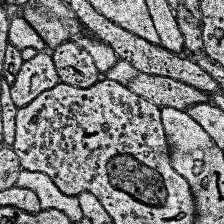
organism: Human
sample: Temporal Lobe